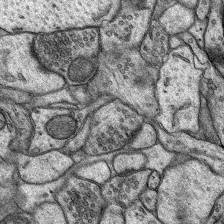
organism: Rat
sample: Hippocampus